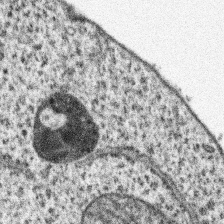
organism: Human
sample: HeLa cells